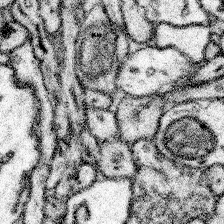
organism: Mouse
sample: Somatosensory cortex neuropil